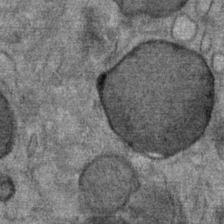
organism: Mouse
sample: Mouse Salivary gland